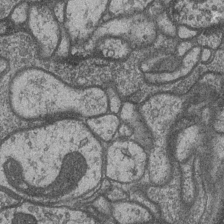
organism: Drosophila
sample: Optic medulla